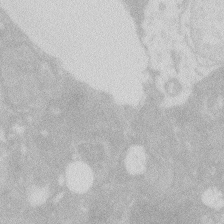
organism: Zebrafish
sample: Macrophage